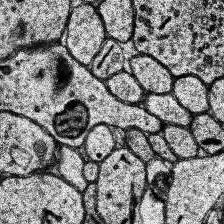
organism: Human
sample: Temporal Lobe